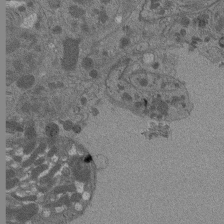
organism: Drosophila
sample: Antenna